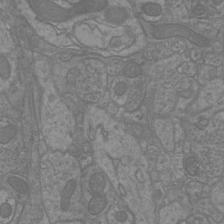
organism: Mouse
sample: Cortical neurons